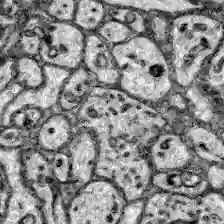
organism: Zebrafish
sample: Brain